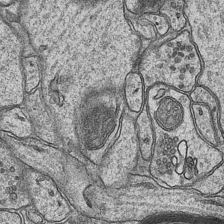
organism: Mouse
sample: CA1 Hippocampus